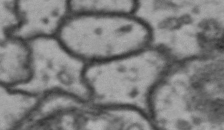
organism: Drosophila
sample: Brain